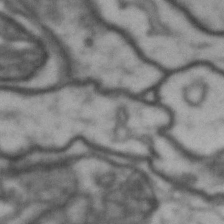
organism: Drosophila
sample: Brain